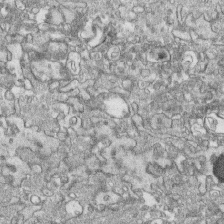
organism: Human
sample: CRL-1474